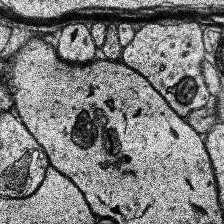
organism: Human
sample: Temporal Lobe